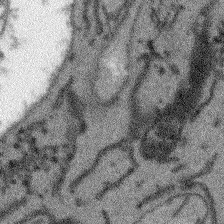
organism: Arabidopsis thaliana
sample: Root tip